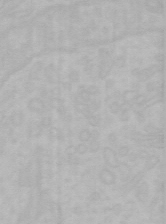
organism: Mouse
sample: Choroid plexus